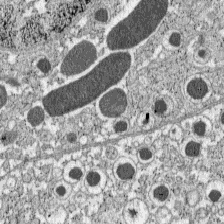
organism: C57BL Mouse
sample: Pancreatic islet